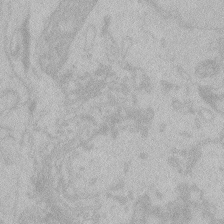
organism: Zebrafish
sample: Macrophage infected with Toxoplasma gondii